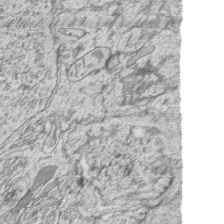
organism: Zebrafish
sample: synaptic ribbons in rod cells and cone cells